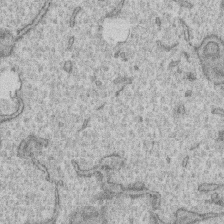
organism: Human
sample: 1205lu cells